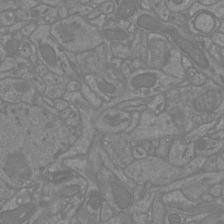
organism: Mouse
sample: Cortical neurons